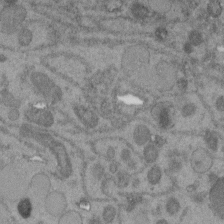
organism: C. elegans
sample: C. elegans embryo early stage